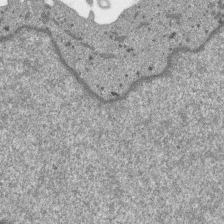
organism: Human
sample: Lung epithelial cells infected with SARS-CoV-2